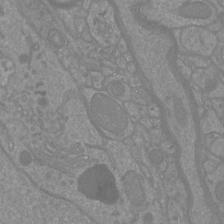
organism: Mouse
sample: Cortical neurons